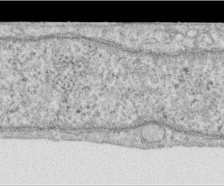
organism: Human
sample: Centriole in RPE cells